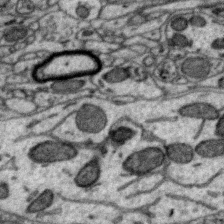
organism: Zebra finch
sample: Brain